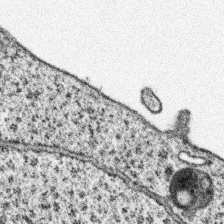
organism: Human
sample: HeLa cells